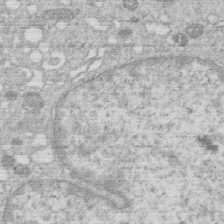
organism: Human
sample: Macrophage cells